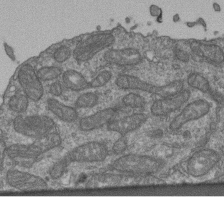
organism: Human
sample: Retinal organoid Rod and Cone cells